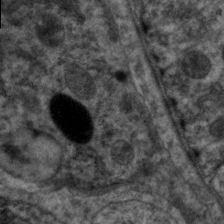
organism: C. elegans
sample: Pharynx